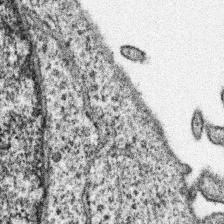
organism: Human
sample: HeLa cells